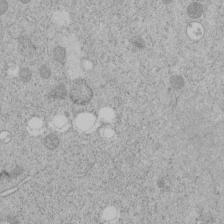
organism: C. elegans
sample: C. elegans embryo early stage